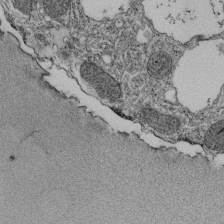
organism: Tetrahymena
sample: Cilia in tetrahymena